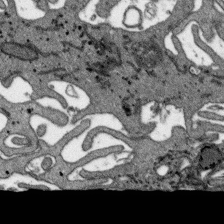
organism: Human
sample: Lung epithelial cells, uninfected (mock) control